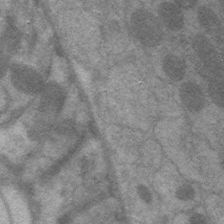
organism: C. elegans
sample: Pharynx